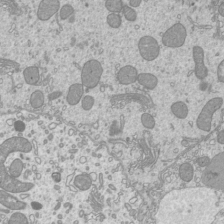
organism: Mouse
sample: Cilia; mouse epididymis